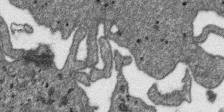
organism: Human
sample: Lung epithelial cells infected with SARS-CoV-2